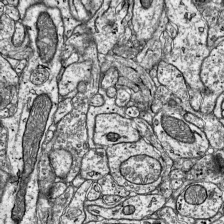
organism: Mouse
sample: Visual Cortex